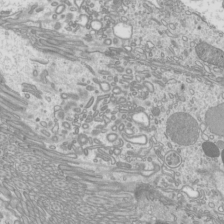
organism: Mouse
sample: Cilia; mouse epididymis